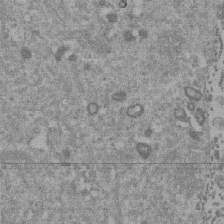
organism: Mouse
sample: Dividing mouse embryo 1 cell stage